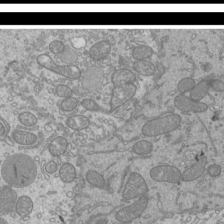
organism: Mouse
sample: Cilia; mouse epididymis